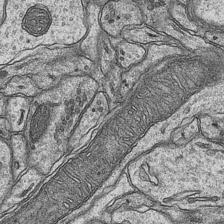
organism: Mouse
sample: CA1 Hippocampus